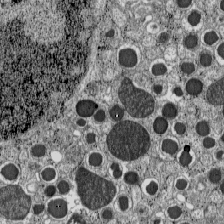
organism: C57BL Mouse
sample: Pancreatic islet